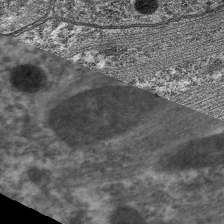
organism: C. elegans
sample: Pharynx